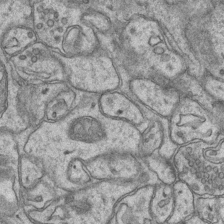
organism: Mouse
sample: CA1 Hippocampus